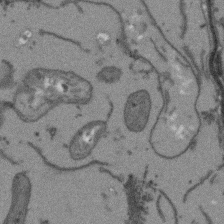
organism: Arabidopsis thaliana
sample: Root tip